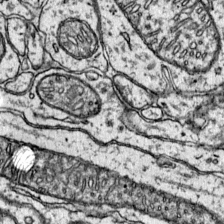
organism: Mouse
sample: Primary visual cortex